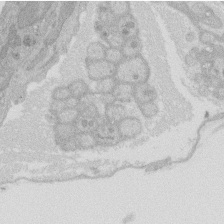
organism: Rat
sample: Salivary granule